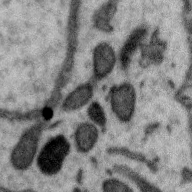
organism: Zebra finch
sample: Brain